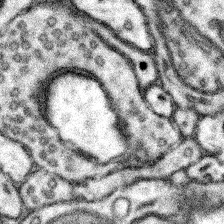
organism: Mouse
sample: Somatosensory cortex neuropil